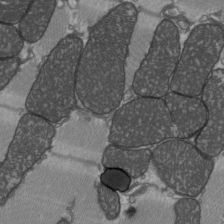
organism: C57BL Mouse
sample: Heart